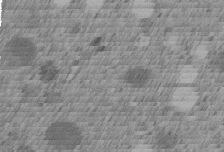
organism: C. elegans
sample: C. elegans embryo early stage